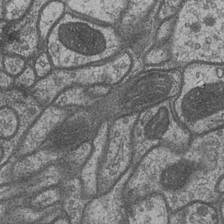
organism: Drosophila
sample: Optic medulla